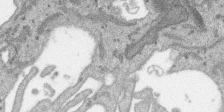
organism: Human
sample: Lung epithelial cells infected with SARS-CoV-2